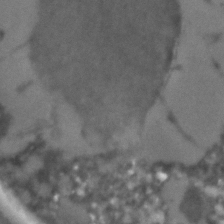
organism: C. elegans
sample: C. elegans embryo